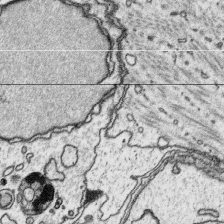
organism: Platynereis dumerilii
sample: Parapodia